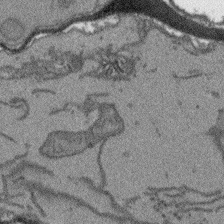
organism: Arabidopsis thaliana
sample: Root tip